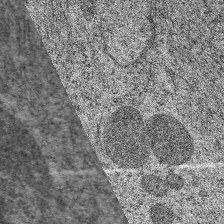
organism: C. elegans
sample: Pharynx